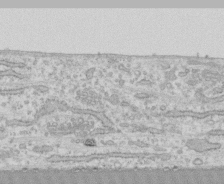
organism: Human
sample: CRL-1474